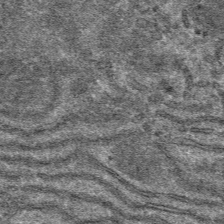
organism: Mouse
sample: Mouse hepatocytes